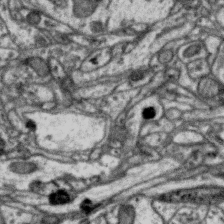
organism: Zebra finch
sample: Brain